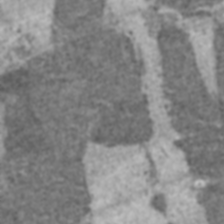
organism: C57BL Mouse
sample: Heart